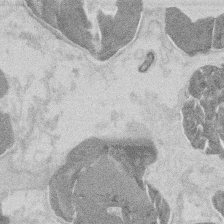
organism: Mouse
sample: T cell stromal cell synapse